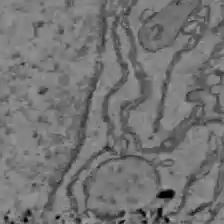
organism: C57BL Mouse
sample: Liver